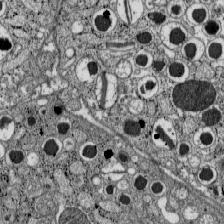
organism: C57BL Mouse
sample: Pancreatic islet